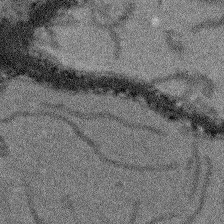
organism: Arabidopsis thaliana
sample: Root tip